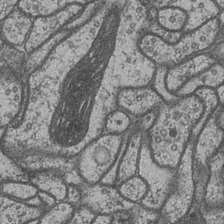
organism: Drosophila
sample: Optic medulla